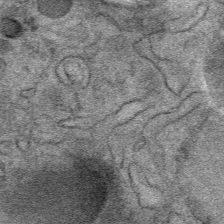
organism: Mouse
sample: Mouse Salivary gland